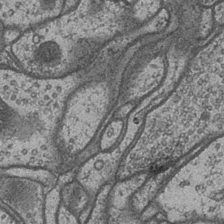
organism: Drosophila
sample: Optic medulla